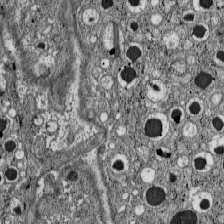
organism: C57BL Mouse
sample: Pancreatic islet